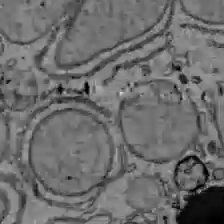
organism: C57BL Mouse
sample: Liver